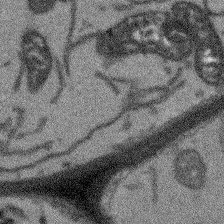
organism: Arabidopsis thaliana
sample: Root tip